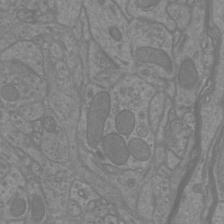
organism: Mouse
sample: Cortical neurons